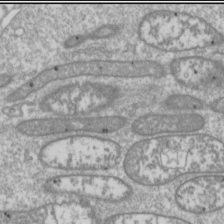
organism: Drosophila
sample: Cell division; meiosis; drosophila spermatocytes